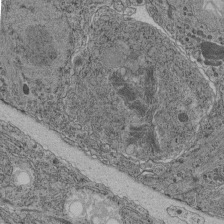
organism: C. elegans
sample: C. elegans pharynx